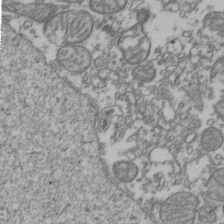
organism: Human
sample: Activated Jurkat CD4+ T cells